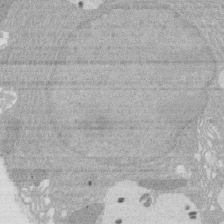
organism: Rat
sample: Salivary granule